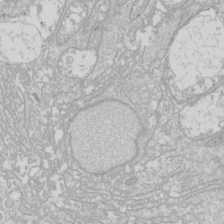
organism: Drosophila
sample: Cell division; meiosis; drosophila spermatocytes